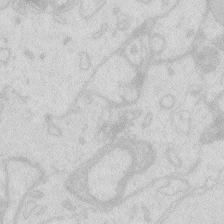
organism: Zebrafish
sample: Macrophage